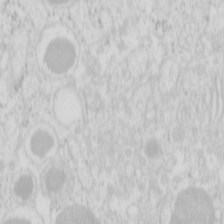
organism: Mouse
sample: Pancreas